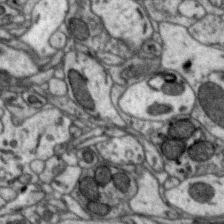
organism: Zebra finch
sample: Brain